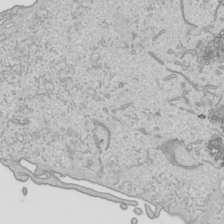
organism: Human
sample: Mitochondria in HCT116 cells